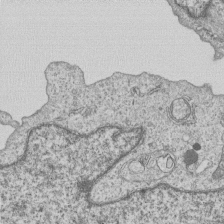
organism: Human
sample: MDA-MB-231 cells